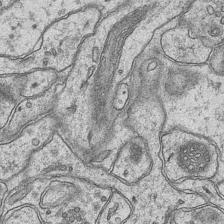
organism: Mouse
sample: CA1 Hippocampus